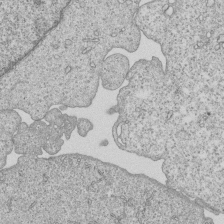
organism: Human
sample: MDA-MB-231 cells